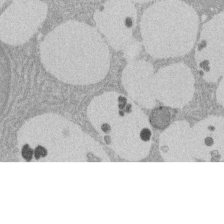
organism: Rat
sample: Salivary granule